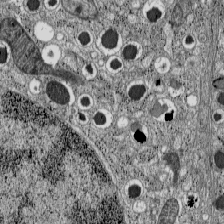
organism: C57BL Mouse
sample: Pancreatic islet